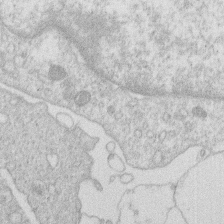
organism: Human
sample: Macrophage cells